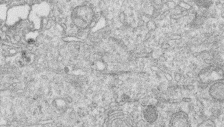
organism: Human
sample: HeLa cell HIV synapse